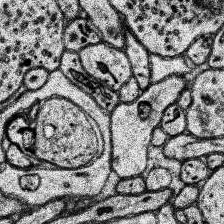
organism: Human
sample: Temporal Lobe